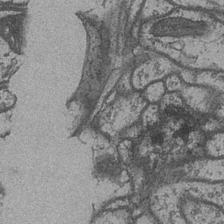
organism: Drosophila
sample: Optic medulla